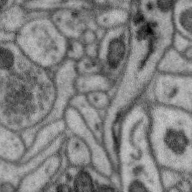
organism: Zebra finch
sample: Brain